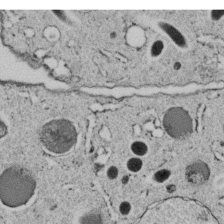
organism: C. elegans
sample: C. elegans embryo early stage